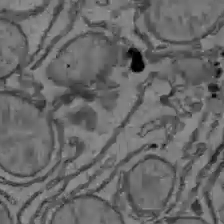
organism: C57BL Mouse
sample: Liver